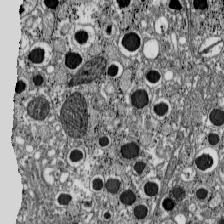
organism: C57BL Mouse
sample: Pancreatic islet